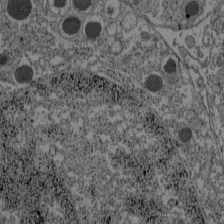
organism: C57BL Mouse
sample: Pancreatic islet